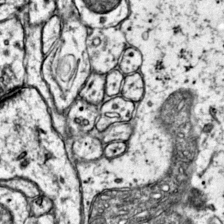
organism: Mouse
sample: Primary visual cortex